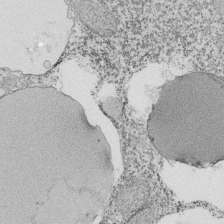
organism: Tetrahymena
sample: Cilia in tetrahymena